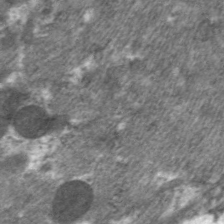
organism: C. elegans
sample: Pharynx